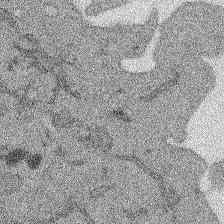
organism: Human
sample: HeLa cells